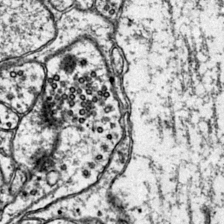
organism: Mouse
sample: Primary visual cortex